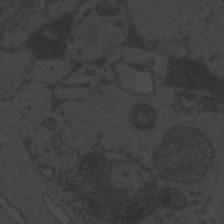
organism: Zebrafish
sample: Macrophage infected with Toxoplasma gondii